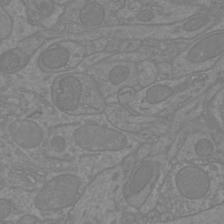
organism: Mouse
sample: Cortical neurons